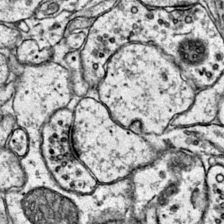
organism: Mouse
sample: Primary visual cortex